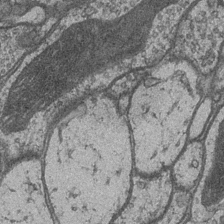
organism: Drosophila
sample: Optic medulla